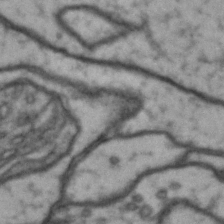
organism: Drosophila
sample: Brain